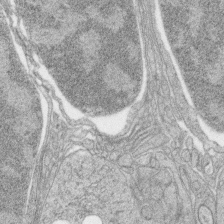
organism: Zebrafish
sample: synaptic ribbons in rod cells and cone cells